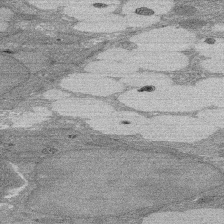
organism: Rat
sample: Salivary granule